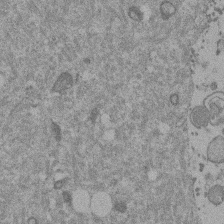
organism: Mouse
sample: Dividing mouse embryo 1 cell stage